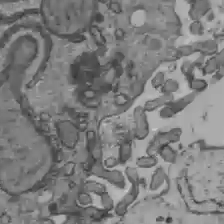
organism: C57BL Mouse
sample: Liver